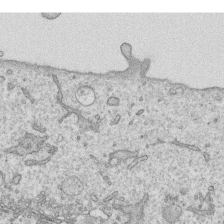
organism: Human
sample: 1205lu cells